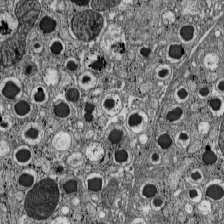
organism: C57BL Mouse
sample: Pancreatic islet